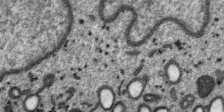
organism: Human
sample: Lung epithelial cells infected with SARS-CoV-2